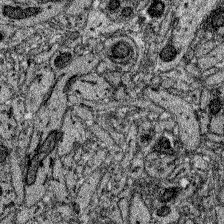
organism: Zebrafish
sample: Larval olfactory bulb